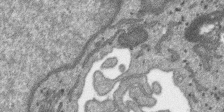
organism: Human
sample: Lung epithelial cells infected with SARS-CoV-2